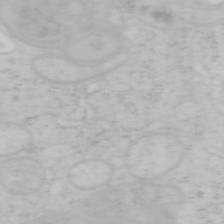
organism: Mouse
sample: OT-I killer T cells with ID8 ovarian cancer cells